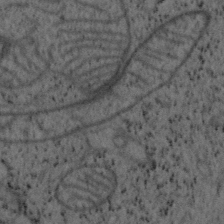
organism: Human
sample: HeLa cells